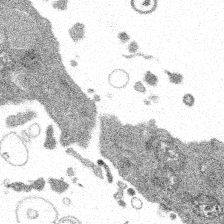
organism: Spongilla lacustris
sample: Multiple